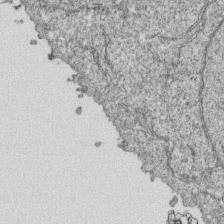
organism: Human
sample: HeLa cell HIV synapse